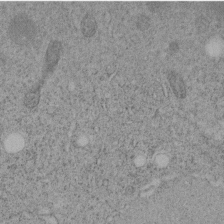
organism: C. elegans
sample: C. elegans embryo early stage